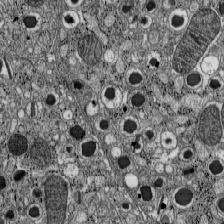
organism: C57BL Mouse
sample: Pancreatic islet